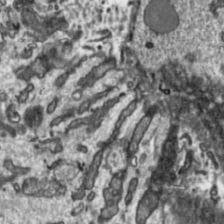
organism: Toxoplasma gondii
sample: Parasites in a vacuole inside a host cell